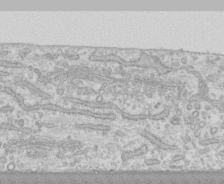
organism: Human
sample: CRL-1474